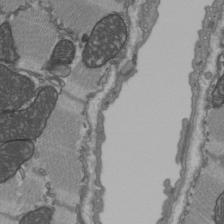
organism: C57BL Mouse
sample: Heart